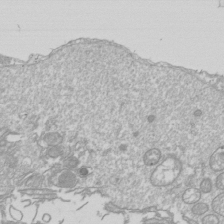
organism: Drosophila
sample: Cell division; meiosis; drosophila spermatocytes